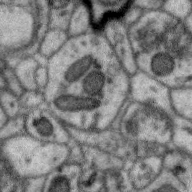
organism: Zebra finch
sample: Brain